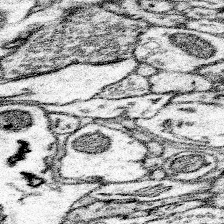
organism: Mouse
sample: Somatosensory cortex neuropil